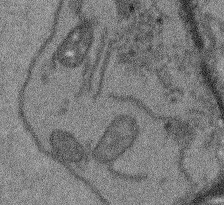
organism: Arabidopsis thaliana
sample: Root tip